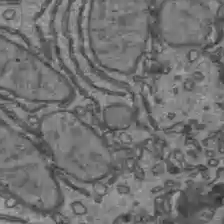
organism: C57BL Mouse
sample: Liver